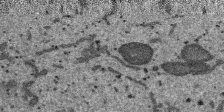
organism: Human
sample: Lung epithelial cells infected with SARS-CoV-2